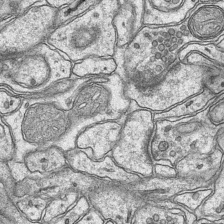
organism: Mouse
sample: CA1 Hippocampus